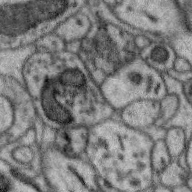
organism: Zebra finch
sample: Brain